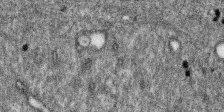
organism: Human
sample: Lung epithelial cells infected with SARS-CoV-2